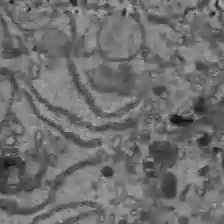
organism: C57BL Mouse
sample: Liver